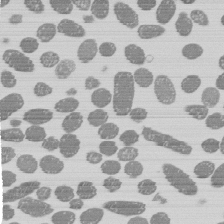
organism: E. coli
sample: Bacterial nucleoid